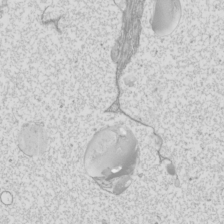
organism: Mouse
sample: Cilia; mouse epididymis